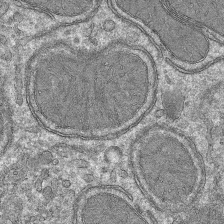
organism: Mouse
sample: Mouse hepatocytes